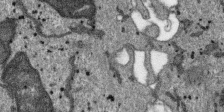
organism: Human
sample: Lung epithelial cells, uninfected (mock) control